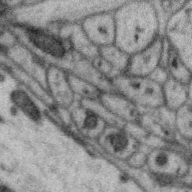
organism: Zebra finch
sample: Brain